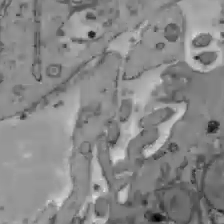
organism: C57BL Mouse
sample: Liver